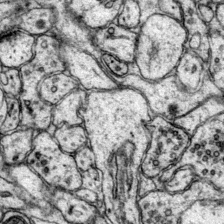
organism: Mouse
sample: Primary visual cortex